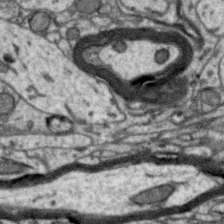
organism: Zebra finch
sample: Brain